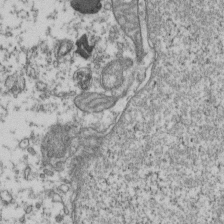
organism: Human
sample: Activated Jurkat CD4+ T cells